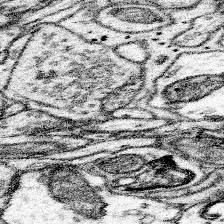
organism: Mouse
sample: Somatosensory cortex neuropil